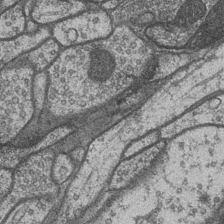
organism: Drosophila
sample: Optic medulla